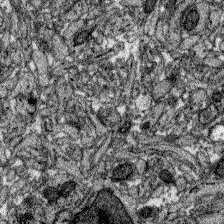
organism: Zebrafish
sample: Larval olfactory bulb